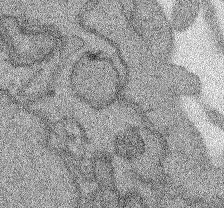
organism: Human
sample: HeLa cells